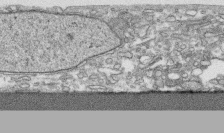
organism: Human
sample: CRL-1474